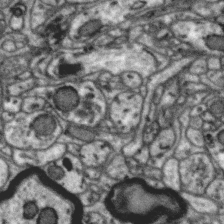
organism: Zebra finch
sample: Brain